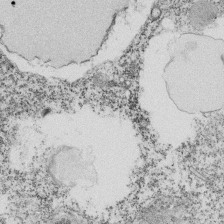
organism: Tetrahymena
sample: Cilia in tetrahymena